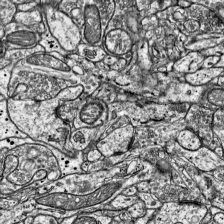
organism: Mouse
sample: Visual Cortex